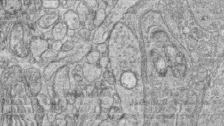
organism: Zebrafish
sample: synaptic ribbons in rod cells and cone cells